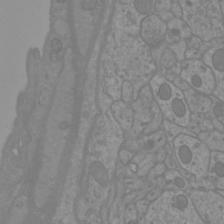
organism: Mouse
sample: Cortical neurons